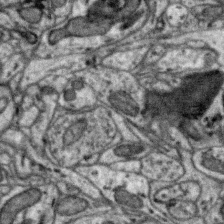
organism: Zebra finch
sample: Brain